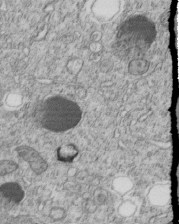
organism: C. elegans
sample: C. elegans embryo early stage